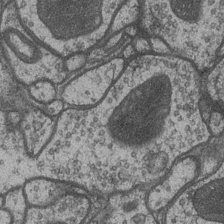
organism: Drosophila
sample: Optic medulla